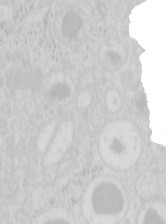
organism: Mouse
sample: Pancreas